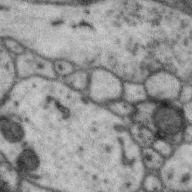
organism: Zebra finch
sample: Brain